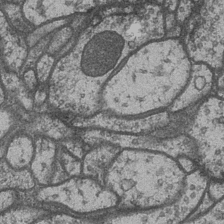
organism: Drosophila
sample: Optic medulla